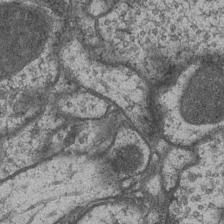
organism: Drosophila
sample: Optic medulla